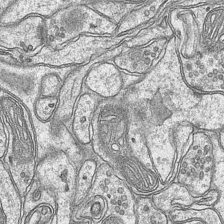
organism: Mouse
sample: CA1 Hippocampus